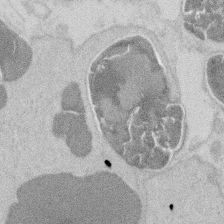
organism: Mouse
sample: T cell stromal cell synapse